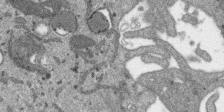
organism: Human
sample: Lung epithelial cells infected with SARS-CoV-2